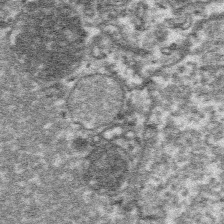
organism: Platynereis dumerilii